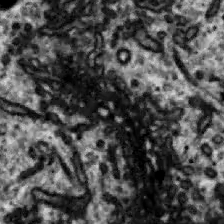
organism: Human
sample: HeLa cells